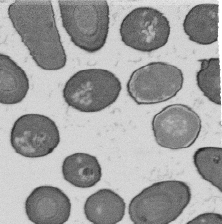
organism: B. subtilis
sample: Bacterial spore